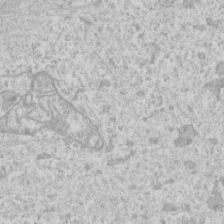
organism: Human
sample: Fibroblast cells